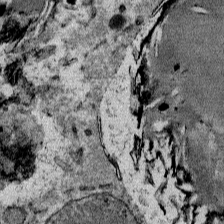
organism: Mouse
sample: Mouse Salivary gland